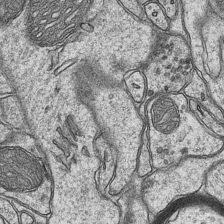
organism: Mouse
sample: CA1 Hippocampus